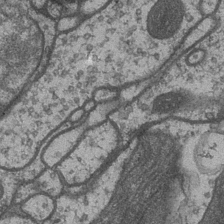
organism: Drosophila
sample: Optic medulla